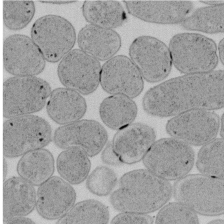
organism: E. coli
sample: Bacterial nucleoid